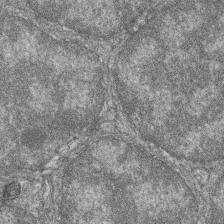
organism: Zebrafish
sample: Cilia; retinal pigment epithelium